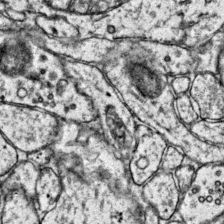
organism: Mouse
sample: Primary visual cortex